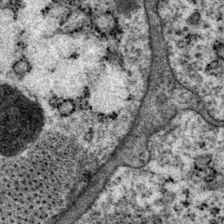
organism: P. pacificus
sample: Pharynx